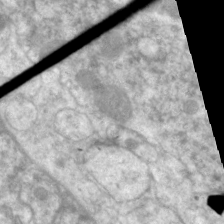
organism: C. elegans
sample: Pharynx